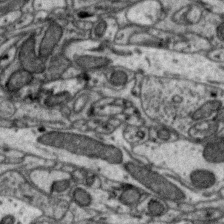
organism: Zebra finch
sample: Brain